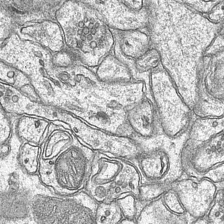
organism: Mouse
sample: CA1 Hippocampus